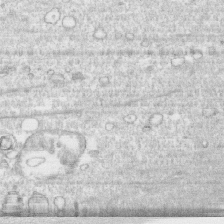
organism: Human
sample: CRL-1474